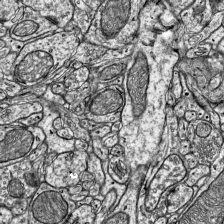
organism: Mouse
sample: Visual Cortex